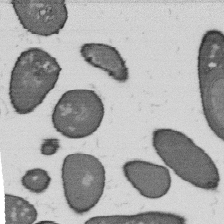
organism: B. subtilis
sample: Bacterial spore